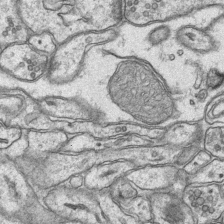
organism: Mouse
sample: CA1 Hippocampus